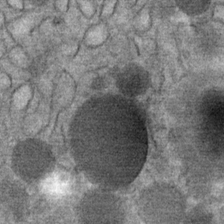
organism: Mouse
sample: Mouse Salivary gland